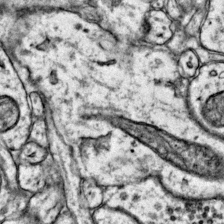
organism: Mouse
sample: Primary visual cortex